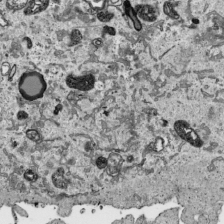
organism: Human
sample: Mitochondria in HCT116 cells